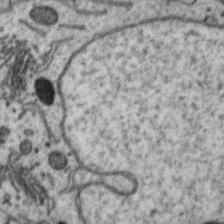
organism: Zebra finch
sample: Brain